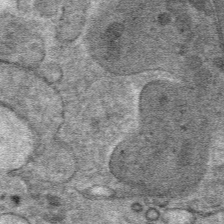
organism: Mouse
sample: Mouse hepatocytes